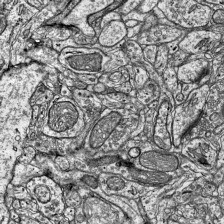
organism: Mouse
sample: Visual Cortex